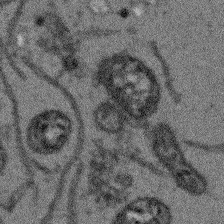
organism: Arabidopsis thaliana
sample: Root tip